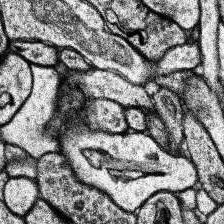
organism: Human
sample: Temporal Lobe